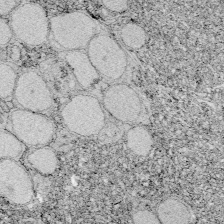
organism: Zebrafish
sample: Whole-Brain